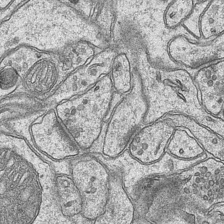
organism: Mouse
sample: CA1 Hippocampus